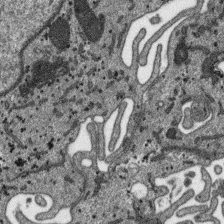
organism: Human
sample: Lung epithelial cells infected with SARS-CoV-2